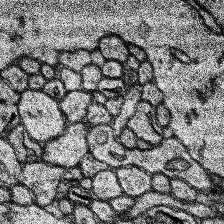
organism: Human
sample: Temporal Lobe